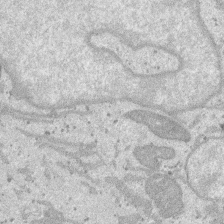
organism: Human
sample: Lung epithelial cells infected with SARS-CoV-2